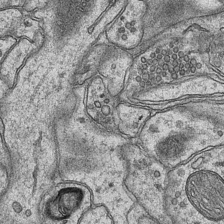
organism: Mouse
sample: CA1 Hippocampus